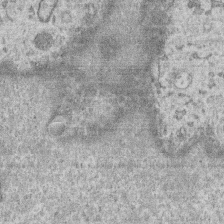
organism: Human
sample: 1205lu cells